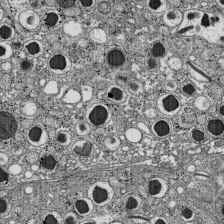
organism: C57BL Mouse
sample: Pancreatic islet